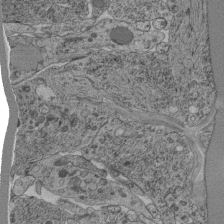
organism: C. elegans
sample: C. elegans pharynx